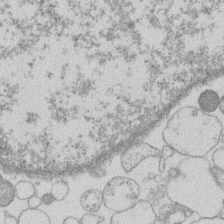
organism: Human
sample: Macrophage cells